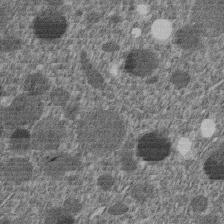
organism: C. elegans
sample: C. elegans embryo early stage